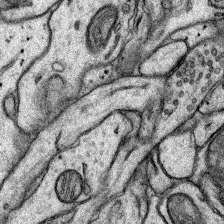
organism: Rat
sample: Hippocampus